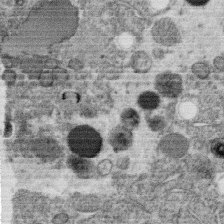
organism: C. elegans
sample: C. elegans oocyte; sperm cells